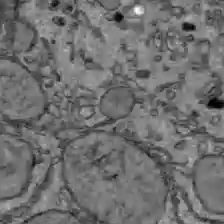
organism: C57BL Mouse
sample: Liver